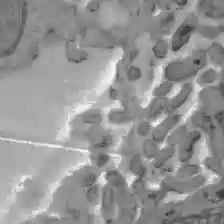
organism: C57BL Mouse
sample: Liver